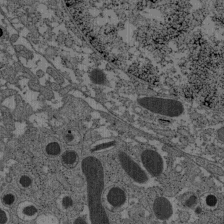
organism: C57BL Mouse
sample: Pancreatic islet